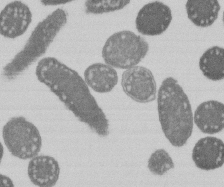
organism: E. coli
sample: Bacterial nucleoid